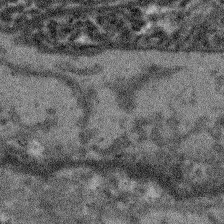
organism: Arabidopsis thaliana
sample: Root tip